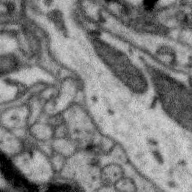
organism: Zebra finch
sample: Brain